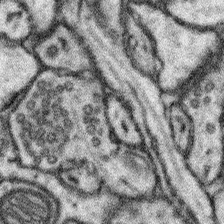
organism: Mouse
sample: Somatosensory cortex neuropil